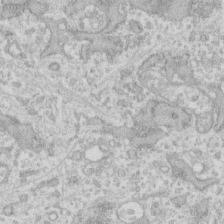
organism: Human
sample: Fibroblast cells